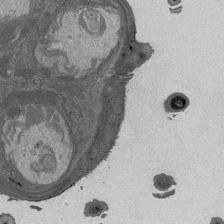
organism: Drosophila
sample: Antenna